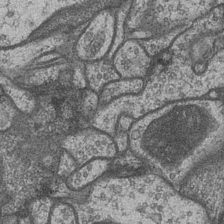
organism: Drosophila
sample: Optic medulla